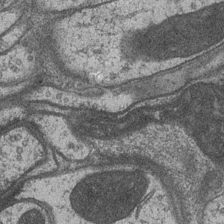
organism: Drosophila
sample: Optic medulla